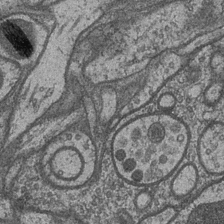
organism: Drosophila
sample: Optic medulla